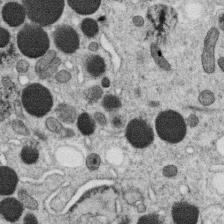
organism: C. elegans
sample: C. elegans oocyte; sperm cells